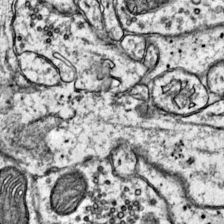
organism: Mouse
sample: Primary visual cortex